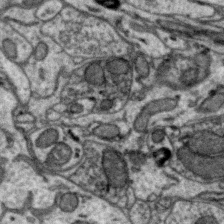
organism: Zebra finch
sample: Brain